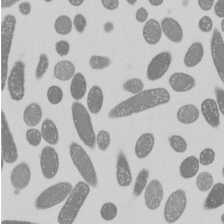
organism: E. coli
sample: Bacterial nucleoid